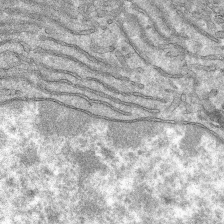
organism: Mouse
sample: Mouse hepatocytes